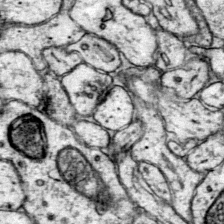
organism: Mouse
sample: Primary visual cortex